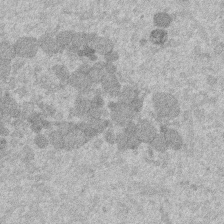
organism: Mouse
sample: Dividing mouse embryo 1 cell stage